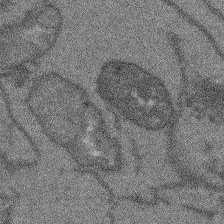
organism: Arabidopsis thaliana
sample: Root tip